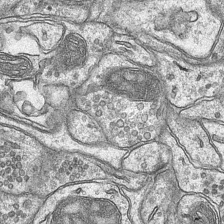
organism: Mouse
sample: CA1 Hippocampus